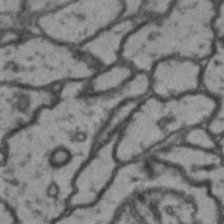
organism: Drosophila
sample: Brain